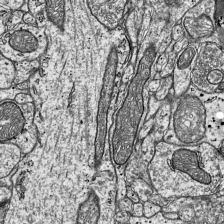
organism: Mouse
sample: Visual Cortex